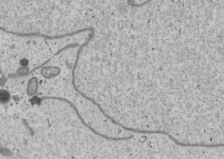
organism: Human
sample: Mitochondria in U2OS cells